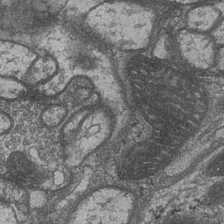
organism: Drosophila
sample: Optic medulla